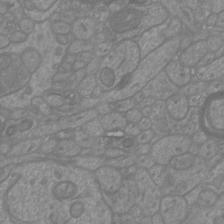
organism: Mouse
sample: Cortical neurons